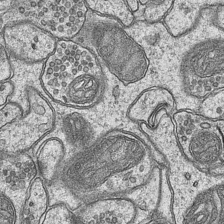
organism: Mouse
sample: CA1 Hippocampus